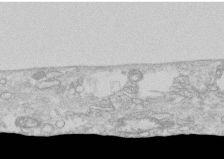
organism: Human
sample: CRL-1474